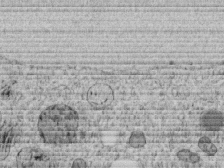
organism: C. elegans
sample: C. elegans embryo early stage